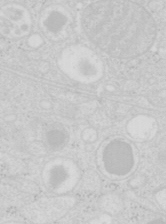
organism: Mouse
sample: Pancreas